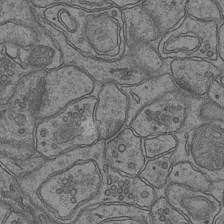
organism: Mouse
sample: CA1 Hippocampus